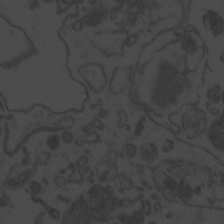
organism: Zebrafish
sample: Macrophage infected with Toxoplasma gondii